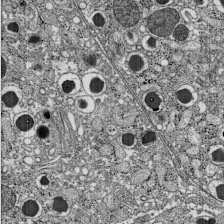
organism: C57BL Mouse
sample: Pancreatic islet